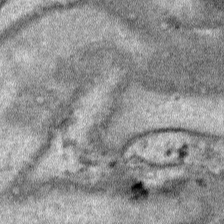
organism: Human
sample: Mitochondria in HCT116 cells